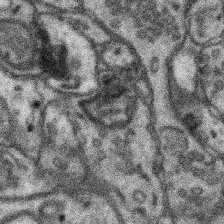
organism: Mouse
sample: Somatosensory cortex neuropil